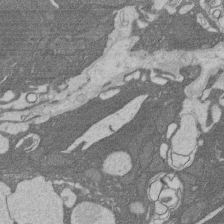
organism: Rat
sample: Salivary granule